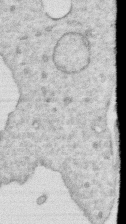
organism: Human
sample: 1205lu cells